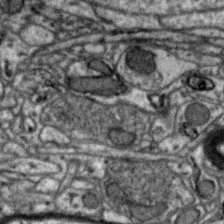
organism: Zebra finch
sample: Brain